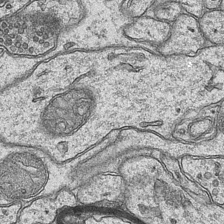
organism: Mouse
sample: CA1 Hippocampus